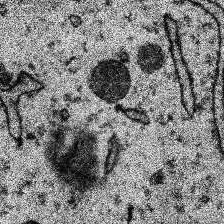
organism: Human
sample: Temporal Lobe